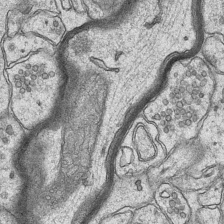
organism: Mouse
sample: CA1 Hippocampus